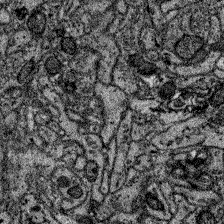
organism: Zebrafish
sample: Larval olfactory bulb